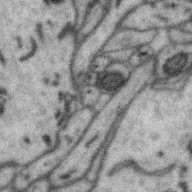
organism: Zebra finch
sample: Brain